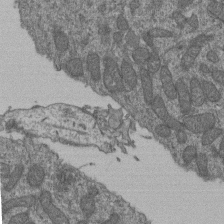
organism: Human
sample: Retinal organoid Rod and Cone cells